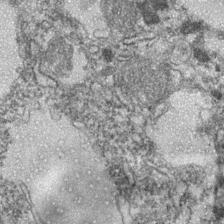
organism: Zebrafish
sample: Zebrafish embryo